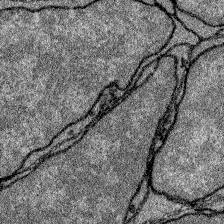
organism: Zebrafish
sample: Larval olfactory bulb